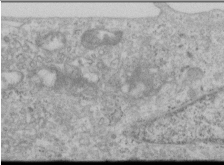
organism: Human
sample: Cilia; basal body in RPE cells